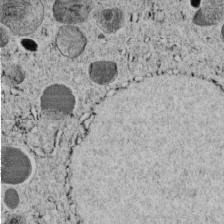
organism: C. elegans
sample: C. elegans embryo early stage